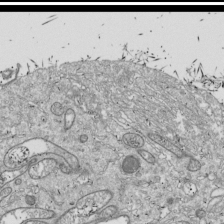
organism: Drosophila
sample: Cell division; meiosis; drosophila spermatocytes